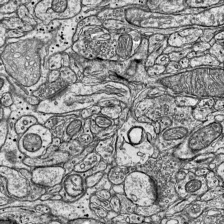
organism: Mouse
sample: Visual Cortex